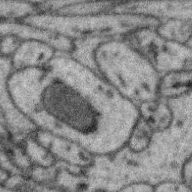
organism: Zebra finch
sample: Brain